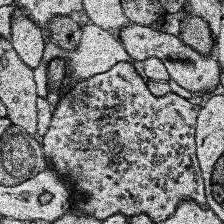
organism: Human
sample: Temporal Lobe